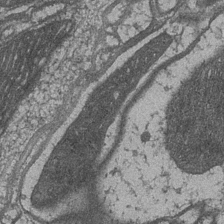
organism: Drosophila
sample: Optic medulla